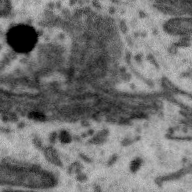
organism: Zebra finch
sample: Brain